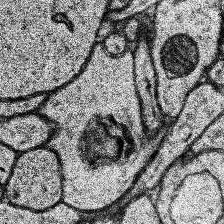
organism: Human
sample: Temporal Lobe